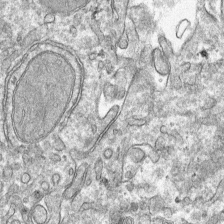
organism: Mouse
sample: Mouse hepatocytes